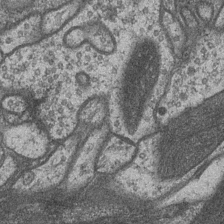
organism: Drosophila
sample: Optic medulla